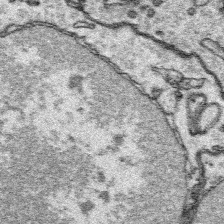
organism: Platynereis dumerilii